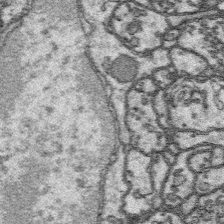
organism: Platynereis dumerilii